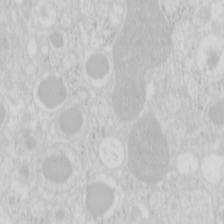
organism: Mouse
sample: Pancreas